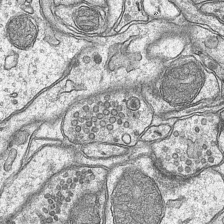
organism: Mouse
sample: CA1 Hippocampus